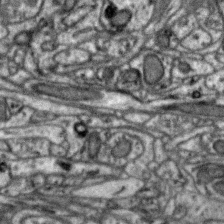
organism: Zebra finch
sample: Brain